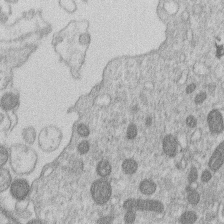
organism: Human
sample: Macrophage cells